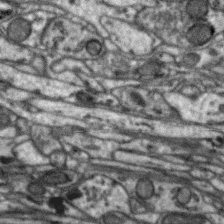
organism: Zebra finch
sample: Brain